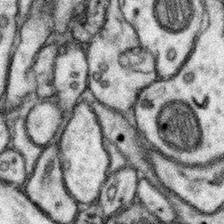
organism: Mouse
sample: Somatosensory cortex neuropil